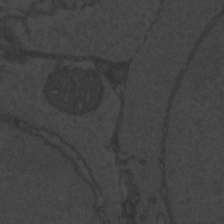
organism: Zebrafish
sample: Macrophage infected with Toxoplasma gondii